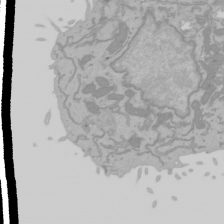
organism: Mouse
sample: Cancer cell death in ED-1 cells